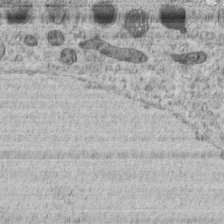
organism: C. elegans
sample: C. elegans embryo early stage